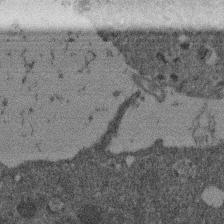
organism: Mouse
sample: Dividing mouse embryo 1 cell stage